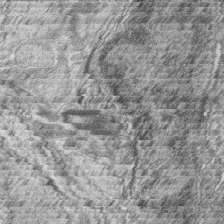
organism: Zebrafish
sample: synaptic ribbons in rod cells and cone cells